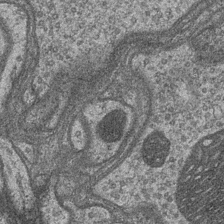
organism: Drosophila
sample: Optic medulla